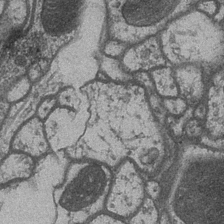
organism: Drosophila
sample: Optic medulla